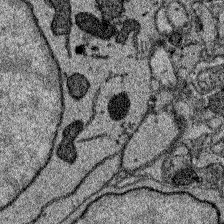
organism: Zebrafish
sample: Larval olfactory bulb